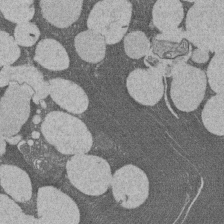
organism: Rat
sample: Salivary granule